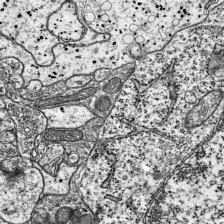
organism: Mouse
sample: Visual Cortex